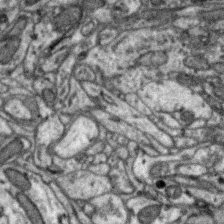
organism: Zebra finch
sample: Brain